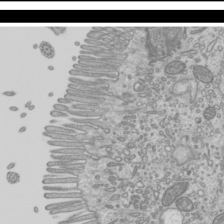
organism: Mouse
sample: Cilia; mouse epididymis